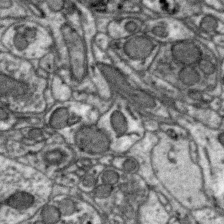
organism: Zebra finch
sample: Brain